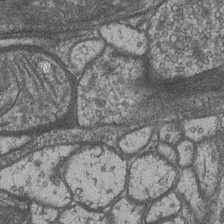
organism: Drosophila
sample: Optic medulla